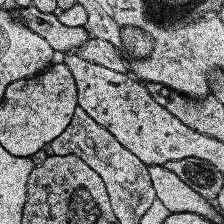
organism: Human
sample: Temporal Lobe